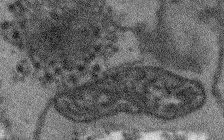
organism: Arabidopsis thaliana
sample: Root tip